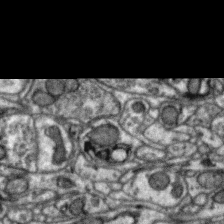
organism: Zebra finch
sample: Brain